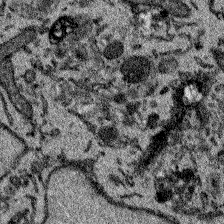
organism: Zebrafish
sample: Larval olfactory bulb